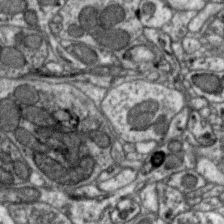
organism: Zebra finch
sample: Brain